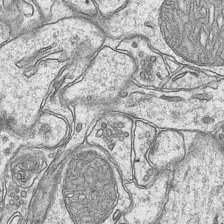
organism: Mouse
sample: CA1 Hippocampus